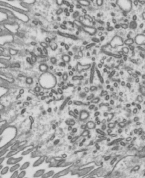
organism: Mouse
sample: Mouse epididymis efferent ductule cilia